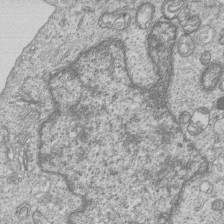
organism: Human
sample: MDA-MB-231 cells